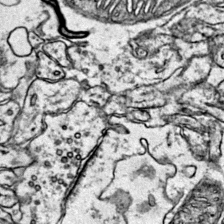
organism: Mouse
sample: Primary visual cortex